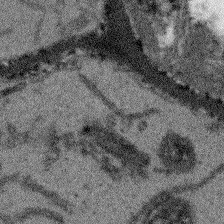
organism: Arabidopsis thaliana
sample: Root tip